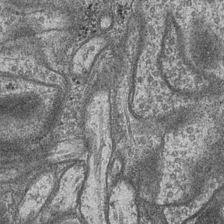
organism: Drosophila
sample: Optic medulla